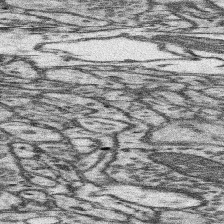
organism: Mouse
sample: Somatosensory cortex neuropil